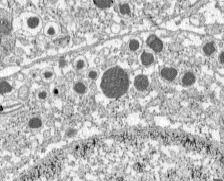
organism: C57BL Mouse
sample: Pancreatic islet